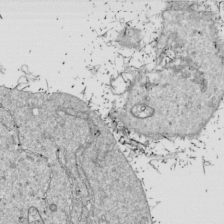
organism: Drosophila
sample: Cell division; meiosis; drosophila spermatocytes